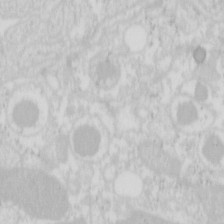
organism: Mouse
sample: Pancreas